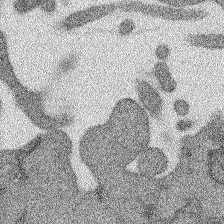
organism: Human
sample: HeLa cells